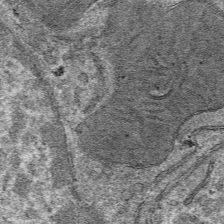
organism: Mouse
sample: Mouse hepatocytes